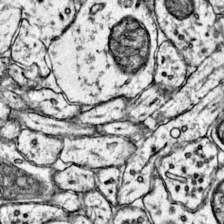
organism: Mouse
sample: Primary visual cortex